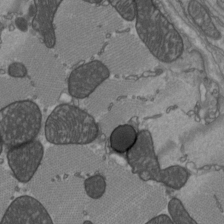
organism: C57BL Mouse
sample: Heart